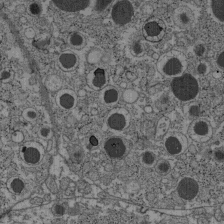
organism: C57BL Mouse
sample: Pancreatic islet